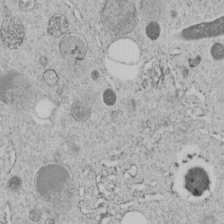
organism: C. elegans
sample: C. elegans embryo early stage